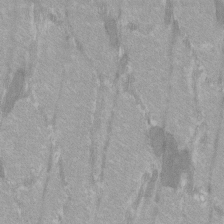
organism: C57BL Mouse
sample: Tibialis anterior muscle cell